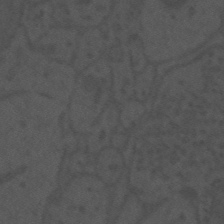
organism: Mouse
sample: Suprachiasmatic nucleus